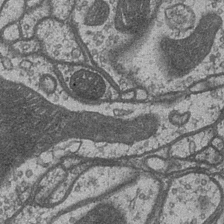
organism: Drosophila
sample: Optic medulla